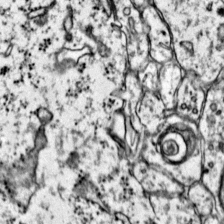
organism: Mouse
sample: Primary visual cortex